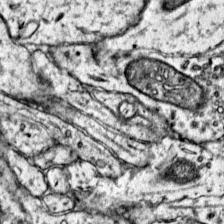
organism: Mouse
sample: Primary visual cortex